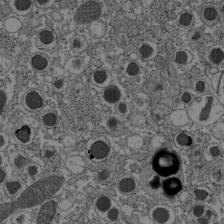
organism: C57BL Mouse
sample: Pancreatic islet